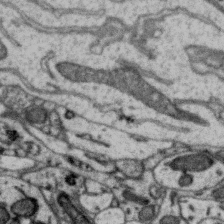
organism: Zebra finch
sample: Brain